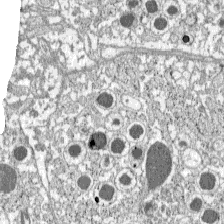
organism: C57BL Mouse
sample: Pancreatic islet